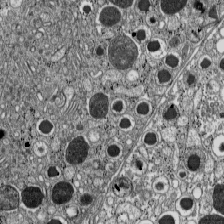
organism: C57BL Mouse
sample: Pancreatic islet